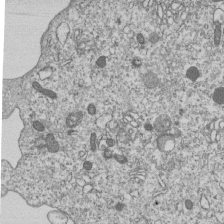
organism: Human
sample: MDA-MB-231 cells